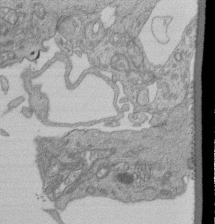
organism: Human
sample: Retinal organoid Rod and Cone cells